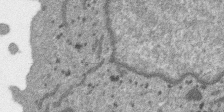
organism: Human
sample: Lung epithelial cells infected with SARS-CoV-2